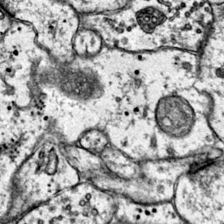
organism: Mouse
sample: Primary visual cortex